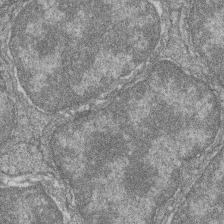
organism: Zebrafish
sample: Cilia; retinal pigment epithelium